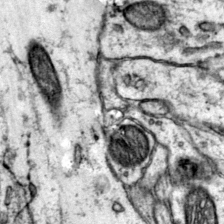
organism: Mouse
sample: Primary visual cortex